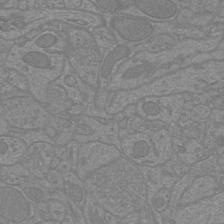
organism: Mouse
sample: Cortical neurons